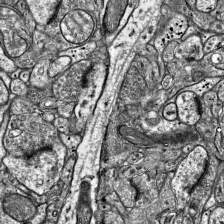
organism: Mouse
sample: Visual Cortex